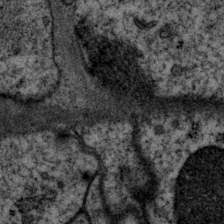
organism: P. pacificus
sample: Pharynx